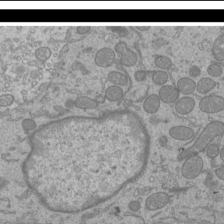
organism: Mouse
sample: Cilia; mouse epididymis